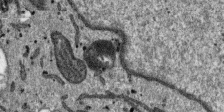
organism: Human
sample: Lung epithelial cells, uninfected (mock) control